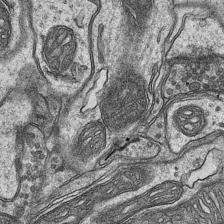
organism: Mouse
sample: CA1 Hippocampus